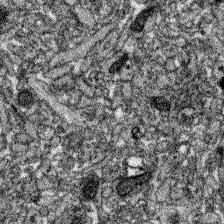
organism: Zebrafish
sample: Larval olfactory bulb